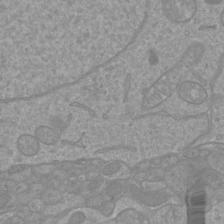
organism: Mouse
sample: Cortical neurons